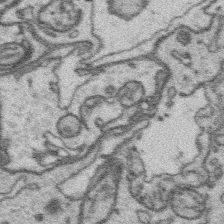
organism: Platynereis dumerilii